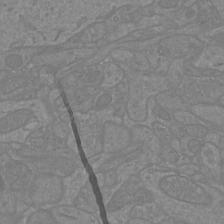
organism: Mouse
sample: Cortical neurons